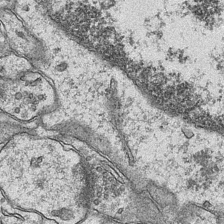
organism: Mouse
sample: CA1 Hippocampus